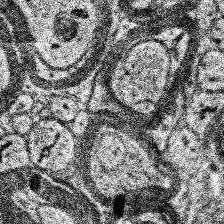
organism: Human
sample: Temporal Lobe